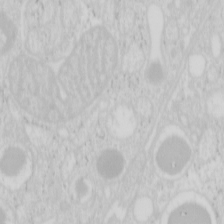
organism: Mouse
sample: Pancreas